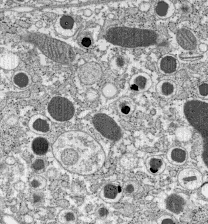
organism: C57BL Mouse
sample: Pancreatic islet